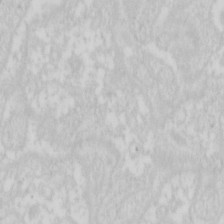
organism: Mouse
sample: Pancreas